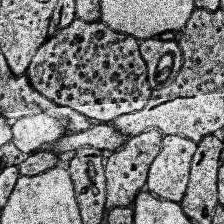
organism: Human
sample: Temporal Lobe